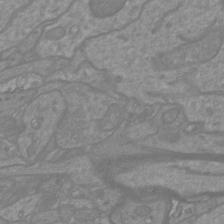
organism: Mouse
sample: Cortical neurons